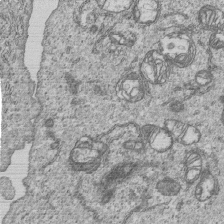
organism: Human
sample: MDA-MB-231 cells